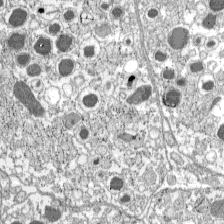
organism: C57BL Mouse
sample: Pancreatic islet